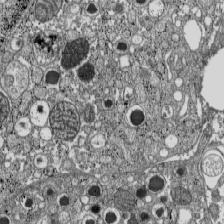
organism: C57BL Mouse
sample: Pancreatic islet